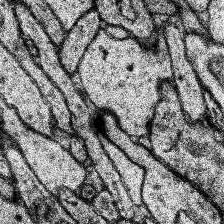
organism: Human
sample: Temporal Lobe